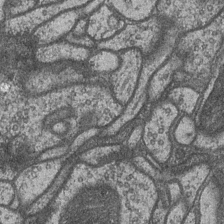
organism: Drosophila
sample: Optic medulla